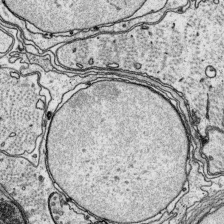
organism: Platynereis dumerilii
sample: Parapodia